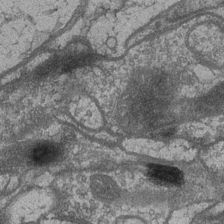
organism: Drosophila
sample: Optic medulla